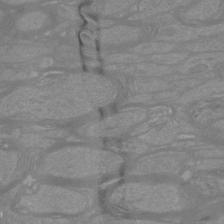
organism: Mouse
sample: Cortical neurons